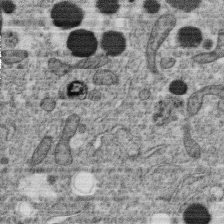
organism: C. elegans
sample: C. elegans oocyte; sperm cells